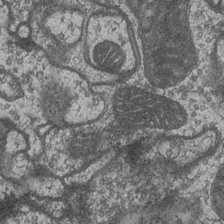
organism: Drosophila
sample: Optic medulla